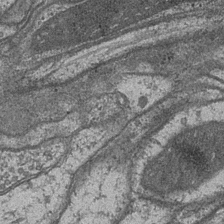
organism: Drosophila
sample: Optic medulla